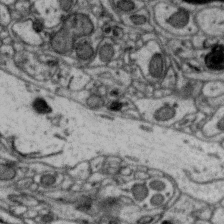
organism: Zebra finch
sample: Brain